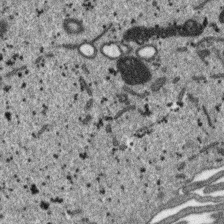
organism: Human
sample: Lung epithelial cells infected with SARS-CoV-2